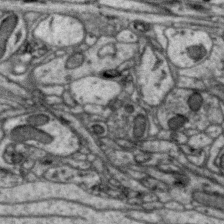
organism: Zebra finch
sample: Brain